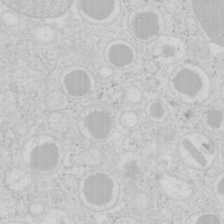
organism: Mouse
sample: Pancreas